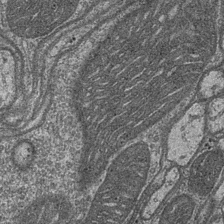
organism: Drosophila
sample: Optic medulla